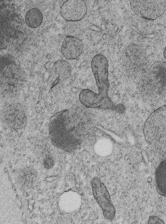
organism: C. elegans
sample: C. elegans embryo early stage